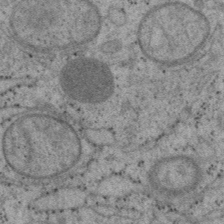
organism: Human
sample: HeLa cells